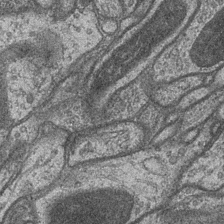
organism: Drosophila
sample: Optic medulla